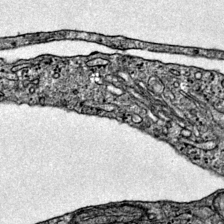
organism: Mouse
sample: Primary visual cortex